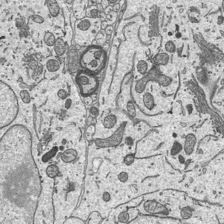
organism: Mouse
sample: Suprachiasmatic nucleus